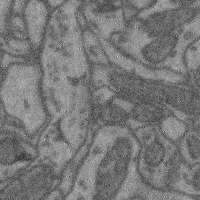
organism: Mouse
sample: Cerebral cortex